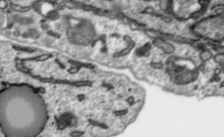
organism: Toxoplasma gondii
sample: Parasites in a vacuole inside a host cell